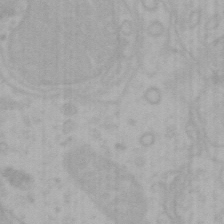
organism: Mouse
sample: Choroid plexus